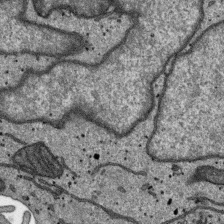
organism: Human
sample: Lung epithelial cells, uninfected (mock) control